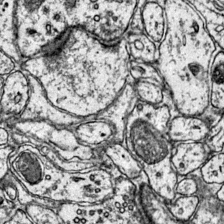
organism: Mouse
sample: Primary visual cortex